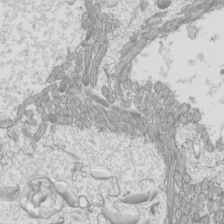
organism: Mouse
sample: Cilia; mouse epididymis